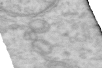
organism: Human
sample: Centriole in RPE cells